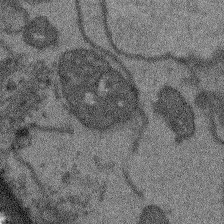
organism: Arabidopsis thaliana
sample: Root tip